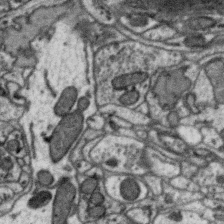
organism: Zebra finch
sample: Brain